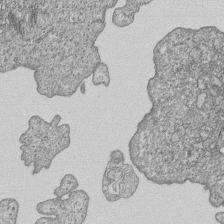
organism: Human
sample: MDA-MB-231 cells